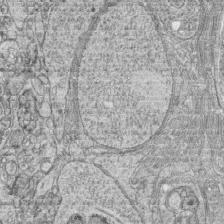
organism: Zebrafish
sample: synaptic ribbons in rod cells and cone cells